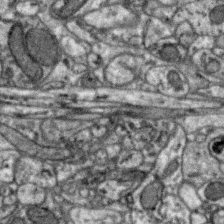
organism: Zebra finch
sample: Brain